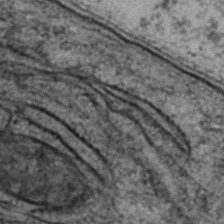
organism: Zebrafish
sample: Zebrafish embryo